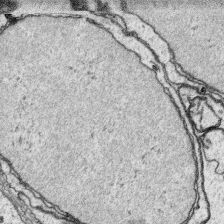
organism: Platynereis dumerilii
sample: Parapodia